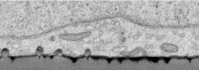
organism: Human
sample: Centriole in RPE cells